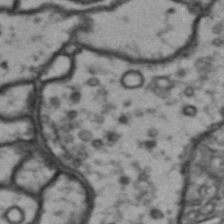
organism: Drosophila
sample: Brain